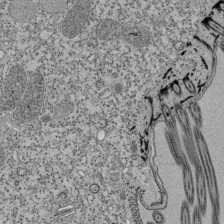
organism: Tetrahymena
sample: Cilia in tetrahymena